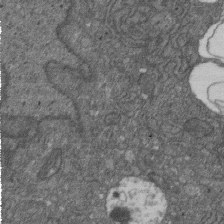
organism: Drosophila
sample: Nephrocyte